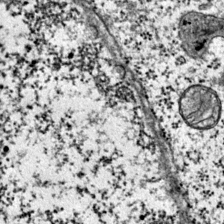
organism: Mouse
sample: Primary visual cortex